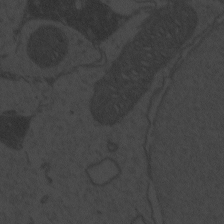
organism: Zebrafish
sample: Macrophage infected with Toxoplasma gondii